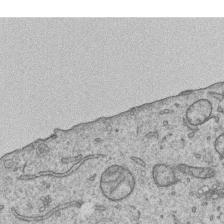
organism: Human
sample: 1205lu cells